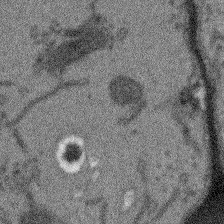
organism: Arabidopsis thaliana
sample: Root tip